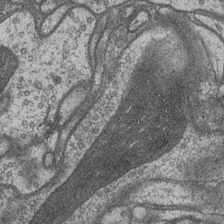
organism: Drosophila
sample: Optic medulla